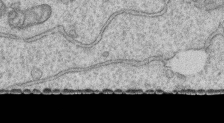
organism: Human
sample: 1205lu cells